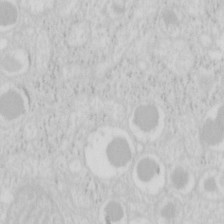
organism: Mouse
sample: Pancreas